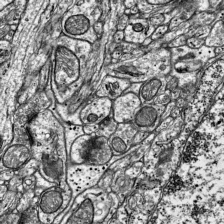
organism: Mouse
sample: Visual Cortex